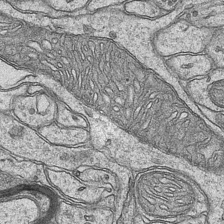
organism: Mouse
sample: CA1 Hippocampus